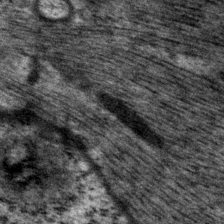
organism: P. pacificus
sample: Pharynx